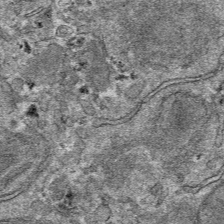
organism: Mouse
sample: Mouse hepatocytes